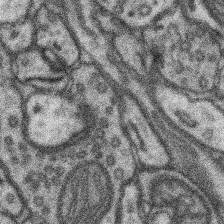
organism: Mouse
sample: Somatosensory cortex neuropil